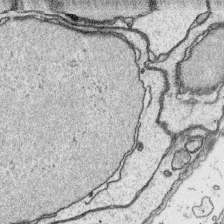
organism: Platynereis dumerilii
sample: Parapodia